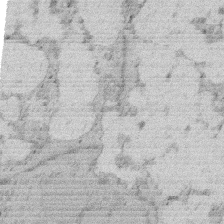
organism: Rat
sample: Salivary granule